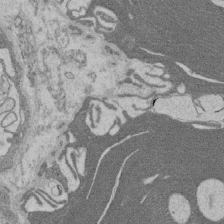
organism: Rat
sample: Salivary granule